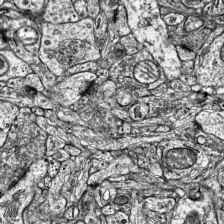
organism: Mouse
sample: Visual Cortex